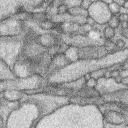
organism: Rabbit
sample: Retina